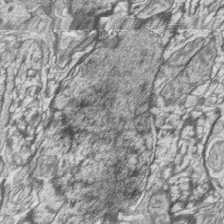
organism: Zebrafish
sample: synaptic ribbons in rod cells and cone cells